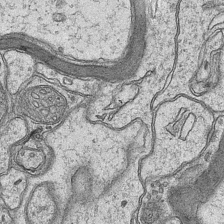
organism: Mouse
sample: CA1 Hippocampus